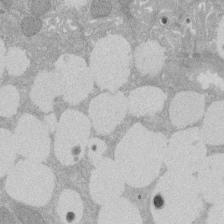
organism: Rat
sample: Salivary granule